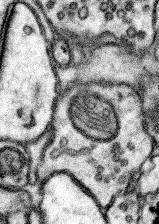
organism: Mouse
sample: Somatosensory cortex neuropil